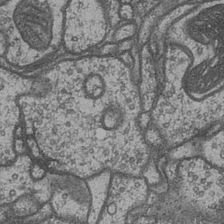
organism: Drosophila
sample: Optic medulla